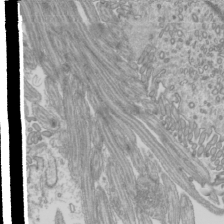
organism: Mouse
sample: Cilia; mouse epididymis